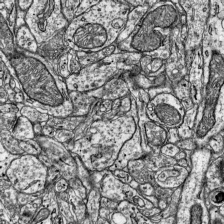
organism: Mouse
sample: Visual Cortex